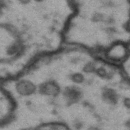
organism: Drosophila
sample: Brain